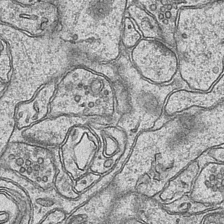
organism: Mouse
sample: CA1 Hippocampus